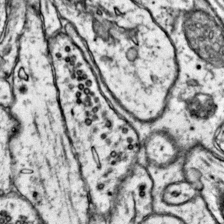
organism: Mouse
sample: Primary visual cortex